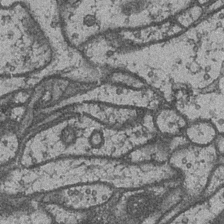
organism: Drosophila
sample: Optic medulla